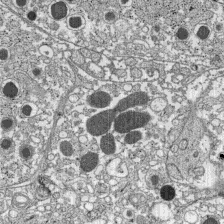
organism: C57BL Mouse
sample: Pancreatic islet